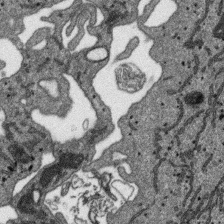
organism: Human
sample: Lung epithelial cells infected with SARS-CoV-2